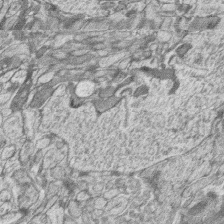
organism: Zebrafish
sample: synaptic ribbons in rod cells and cone cells